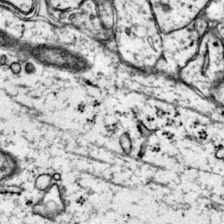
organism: Mouse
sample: Primary visual cortex